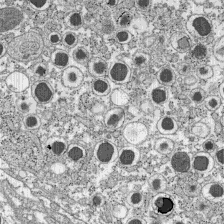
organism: C57BL Mouse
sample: Pancreatic islet